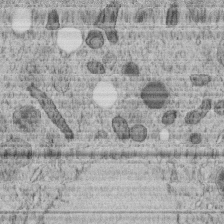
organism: C. elegans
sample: C. elegans embryo early stage